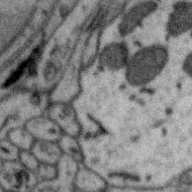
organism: Zebra finch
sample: Brain